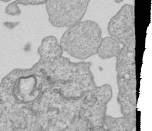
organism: Human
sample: MDA-MB-231 cells